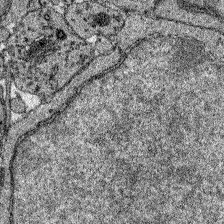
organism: Zebrafish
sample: Larval olfactory bulb